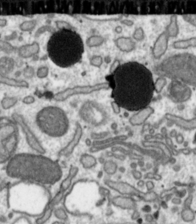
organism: Toxoplasma gondii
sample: Parasites in a vacuole inside a host cell